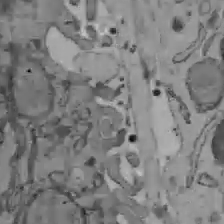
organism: C57BL Mouse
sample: Liver